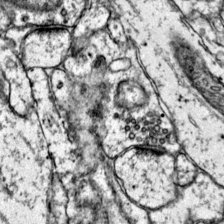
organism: Mouse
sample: Primary visual cortex